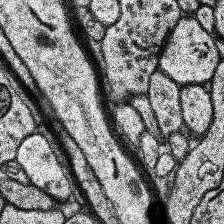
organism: Human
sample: Temporal Lobe